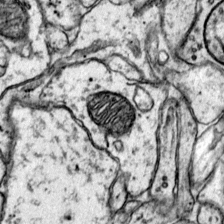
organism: Mouse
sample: Primary visual cortex